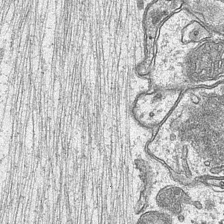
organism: Mouse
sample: CA1 Hippocampus